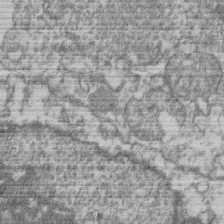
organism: Mouse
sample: T cell stromal cell synapse